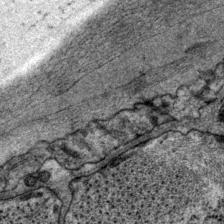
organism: P. pacificus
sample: Pharynx